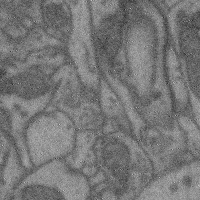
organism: Mouse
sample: Cerebral cortex